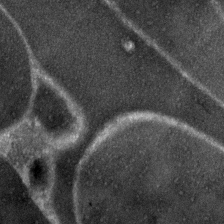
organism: Zebrafish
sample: Zebrafish embryo